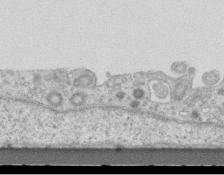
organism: Mouse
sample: Centriole in ependymal cells